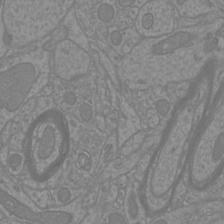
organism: Mouse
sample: Cortical neurons